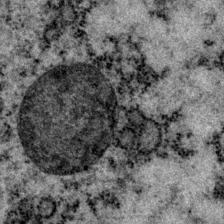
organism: P. pacificus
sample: Pharynx